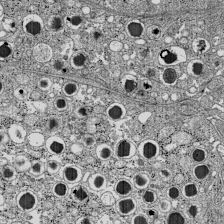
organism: C57BL Mouse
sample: Pancreatic islet